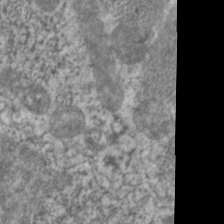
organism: C. elegans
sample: Pharynx